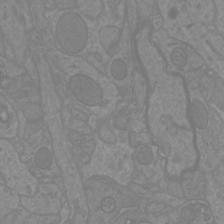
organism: Mouse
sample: Cortical neurons